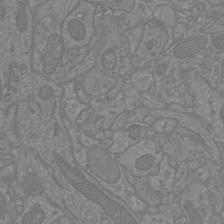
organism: Mouse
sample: Cortical neurons